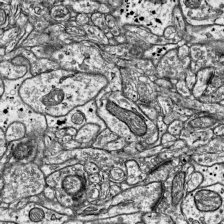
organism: Mouse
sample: Visual Cortex